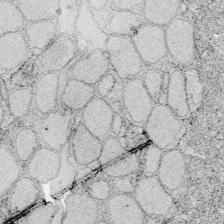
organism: Zebrafish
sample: Whole-Brain